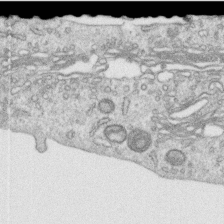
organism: Human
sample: Centriole in RPE cells